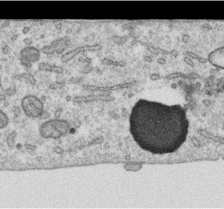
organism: Human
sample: Centriole in RPE cells